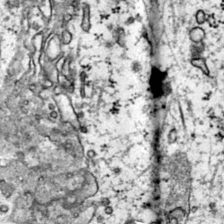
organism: Mouse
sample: Primary visual cortex